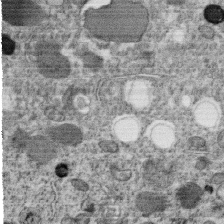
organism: C. elegans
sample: C. elegans oocyte; sperm cells